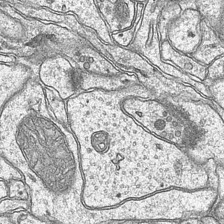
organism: Mouse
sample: CA1 Hippocampus